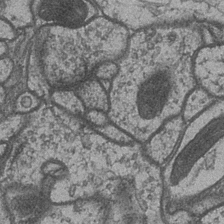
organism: Drosophila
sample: Optic medulla